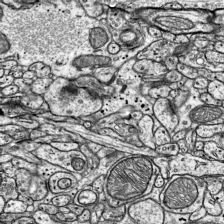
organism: Mouse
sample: Visual Cortex